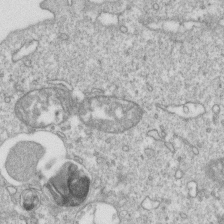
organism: Mouse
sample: Activated OT-1 CD8+ T cells